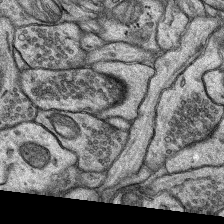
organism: Rat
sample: Hippocampus